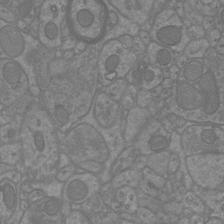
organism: Mouse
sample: Cortical neurons